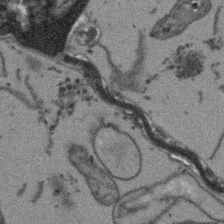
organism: Arabidopsis thaliana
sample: Root tip